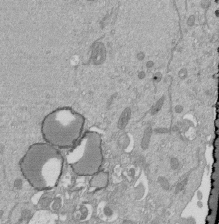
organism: Mouse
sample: ED-1 cell nuclei; centrioles